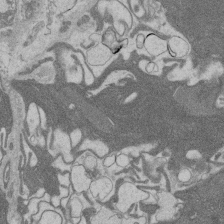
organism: Rat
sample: Salivary granule